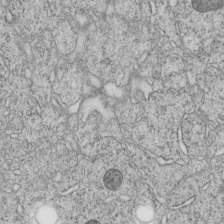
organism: C. elegans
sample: C. elegans embryo early stage